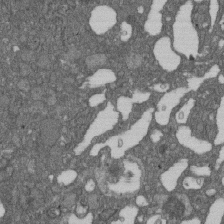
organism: Drosophila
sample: Nephrocyte